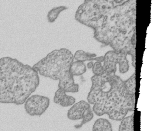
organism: Human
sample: MDA-MB-231 cells